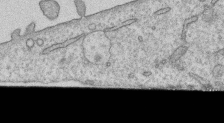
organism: Human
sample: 1205lu cells